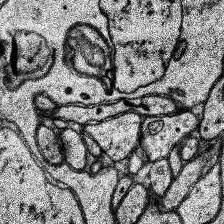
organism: Human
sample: Temporal Lobe